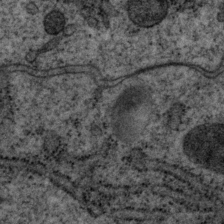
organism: P. pacificus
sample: Pharynx